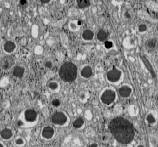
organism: C57BL Mouse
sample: Pancreatic islet